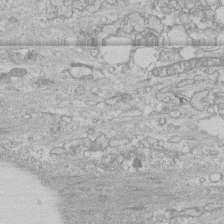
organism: Human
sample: CRL-1474